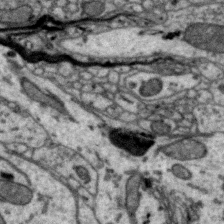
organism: Zebra finch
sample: Brain